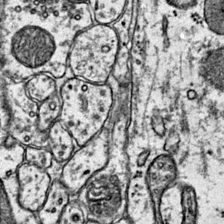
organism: Mouse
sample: Primary visual cortex